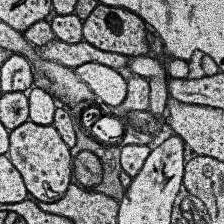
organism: Human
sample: Temporal Lobe